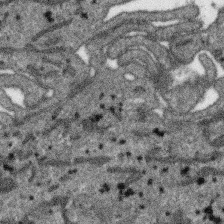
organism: Human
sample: Lung epithelial cells infected with SARS-CoV-2